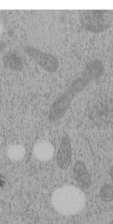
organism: C. elegans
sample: C. elegans embryo early stage